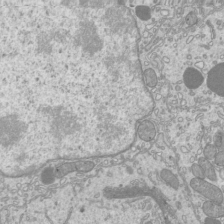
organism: Mouse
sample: Cilia; mouse epididymis